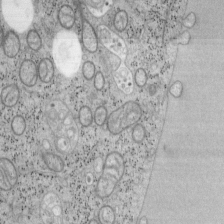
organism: Mouse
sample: OT-I killer T cells with ID8 ovarian cancer cells